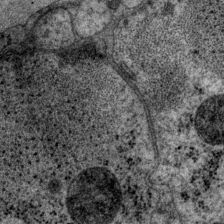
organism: P. pacificus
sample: Pharynx